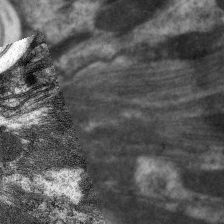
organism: C. elegans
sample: Pharynx